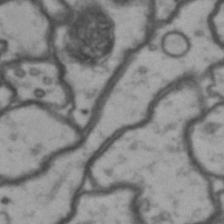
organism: Drosophila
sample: Brain